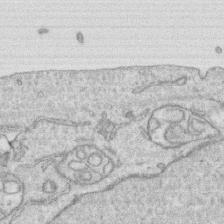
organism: Human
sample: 1205lu cells